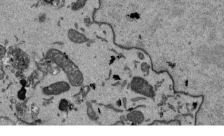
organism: Mouse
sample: ED-1 cell nuclei; centrioles